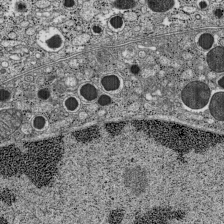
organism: C57BL Mouse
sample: Pancreatic islet